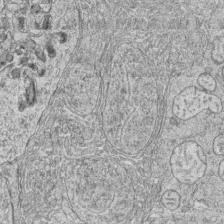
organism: Zebrafish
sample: synaptic ribbons in rod cells and cone cells